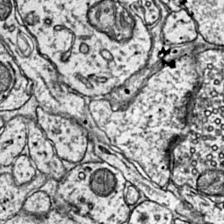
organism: Mouse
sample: Primary visual cortex